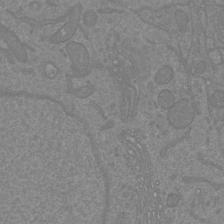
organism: Mouse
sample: Cortical neurons